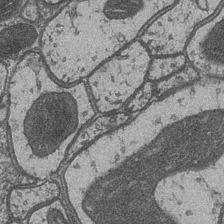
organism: Drosophila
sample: Optic medulla